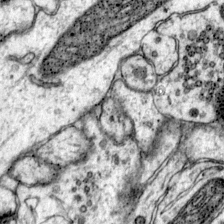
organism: Mouse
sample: Primary visual cortex